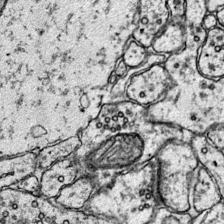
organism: Mouse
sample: Primary visual cortex